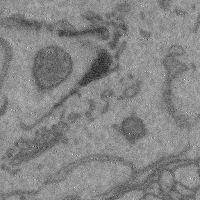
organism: Mouse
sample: Cerebral cortex